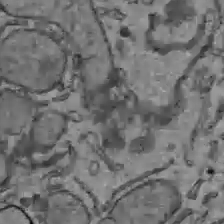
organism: C57BL Mouse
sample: Liver